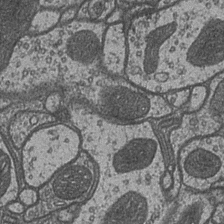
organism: Drosophila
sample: Optic medulla